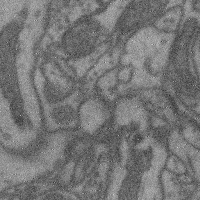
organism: Mouse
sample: Cerebral cortex